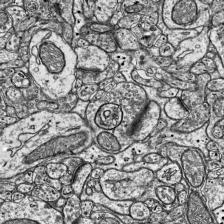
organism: Mouse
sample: Visual Cortex